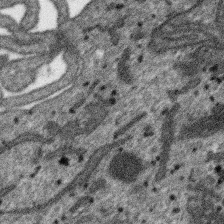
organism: Human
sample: Lung epithelial cells infected with SARS-CoV-2